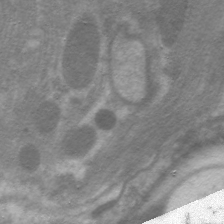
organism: C. elegans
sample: Pharynx